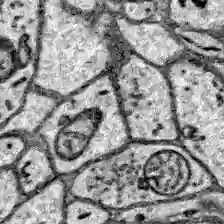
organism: Zebrafish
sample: Brain